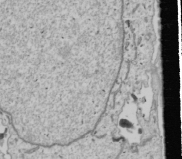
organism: Human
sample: Mitochondria in U2OS cells